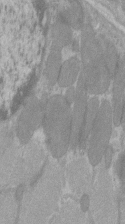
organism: C57BL Mouse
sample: Tibialis anterior muscle cell